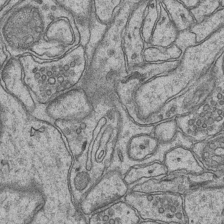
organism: Mouse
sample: CA1 Hippocampus